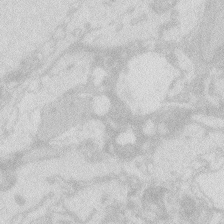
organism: Zebrafish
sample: Macrophage